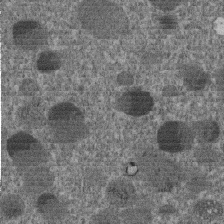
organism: C. elegans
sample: C. elegans embryo early stage